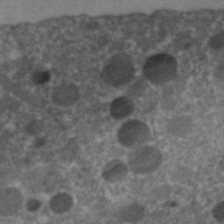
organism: C. elegans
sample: C. elegans embryo